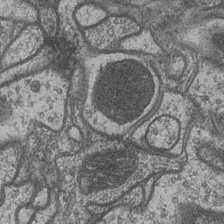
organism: Drosophila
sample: Optic medulla